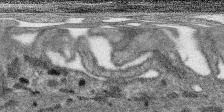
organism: Human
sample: Lung epithelial cells infected with SARS-CoV-2